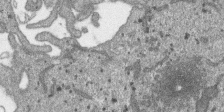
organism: Human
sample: Lung epithelial cells infected with SARS-CoV-2